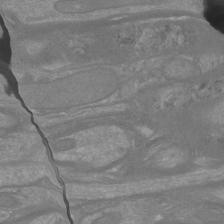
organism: Mouse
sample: Cortical neurons